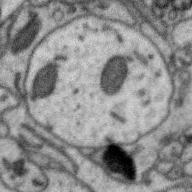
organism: Zebra finch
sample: Brain